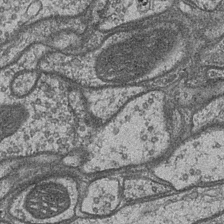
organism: Drosophila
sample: Optic medulla